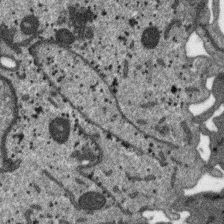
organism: Human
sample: Lung epithelial cells infected with SARS-CoV-2